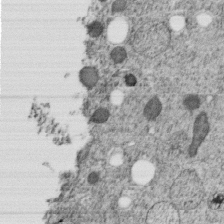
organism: C. elegans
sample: C. elegans embryo early stage